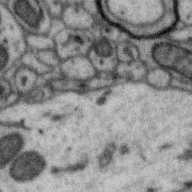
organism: Zebra finch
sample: Brain